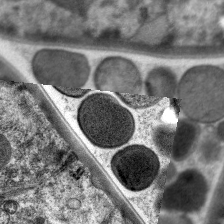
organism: C. elegans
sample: Pharynx